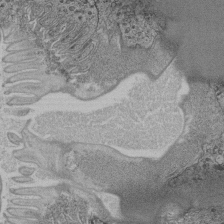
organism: C. elegans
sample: C. elegans pharynx